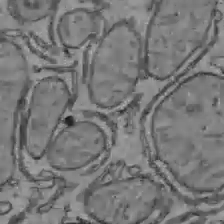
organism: C57BL Mouse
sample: Liver